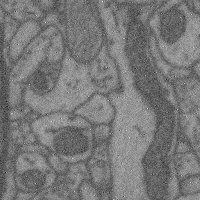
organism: Mouse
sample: Cerebral cortex